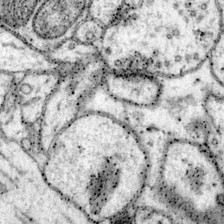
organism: Mouse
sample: Primary visual cortex